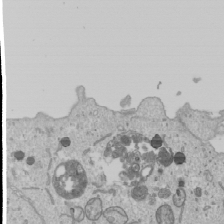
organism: Human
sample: Mitochondria in U2OS cells